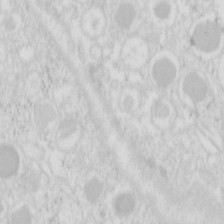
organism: Mouse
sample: Pancreas